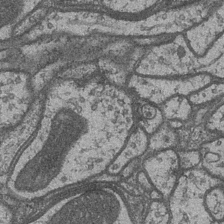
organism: Drosophila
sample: Optic medulla